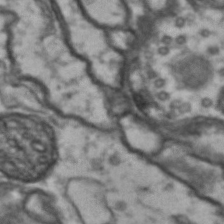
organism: Drosophila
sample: Brain